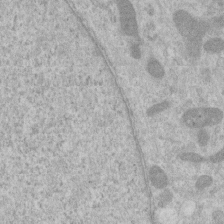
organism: Human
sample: Centriole in RPE cells